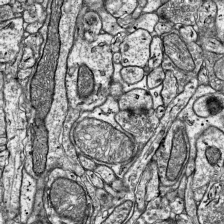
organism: Mouse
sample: Visual Cortex